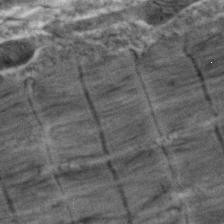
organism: Zebrafish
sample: Zebrafish embryo